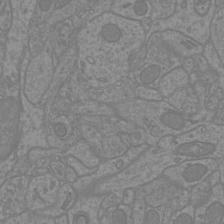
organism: Mouse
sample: Cortical neurons